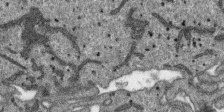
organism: Human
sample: Lung epithelial cells, uninfected (mock) control